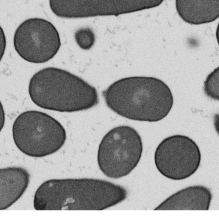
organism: B. subtilis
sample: Bacterial spore